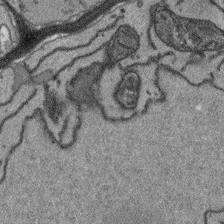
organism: Arabidopsis thaliana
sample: Root tip